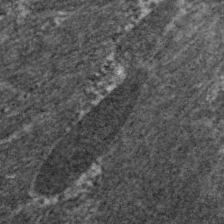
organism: C. elegans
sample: Pharynx